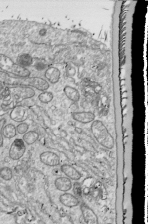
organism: Drosophila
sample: Cell division; meiosis; drosophila spermatocytes